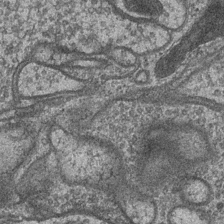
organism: Drosophila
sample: Optic medulla